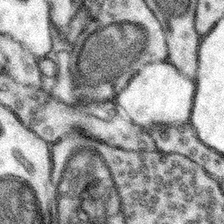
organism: Mouse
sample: Somatosensory cortex neuropil